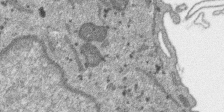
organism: Human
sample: Lung epithelial cells infected with SARS-CoV-2